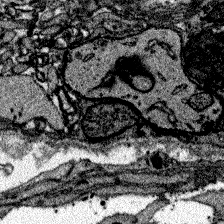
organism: Zebrafish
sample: Larval olfactory bulb